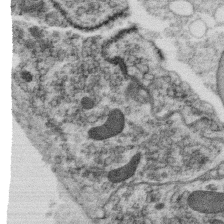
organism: C. elegans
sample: C. elegans oocyte; sperm cells